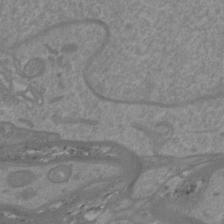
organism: Mouse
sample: Cortical neurons